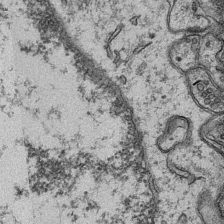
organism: Mouse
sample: CA1 Hippocampus